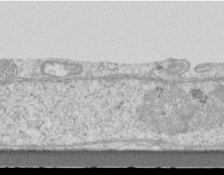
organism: Mouse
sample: Centriole in ependymal cells